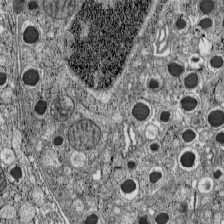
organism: C57BL Mouse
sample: Pancreatic islet